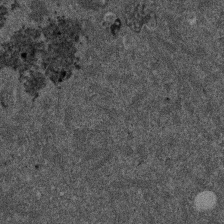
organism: Mouse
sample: Dividing mouse embryo 1 cell stage